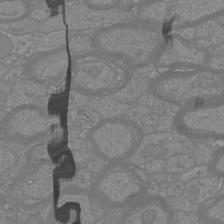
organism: Mouse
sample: Cortical neurons